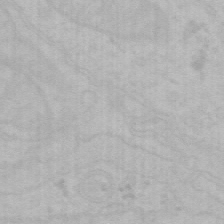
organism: Mouse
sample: Choroid plexus